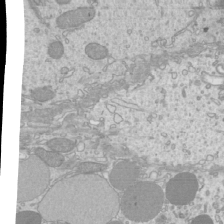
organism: Mouse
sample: Cilia; mouse epididymis